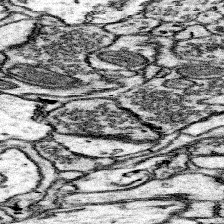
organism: Mouse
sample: Somatosensory cortex neuropil